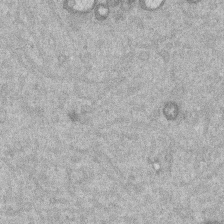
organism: Mouse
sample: Dividing mouse embryo 1 cell stage